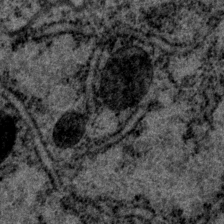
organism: P. pacificus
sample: Pharynx